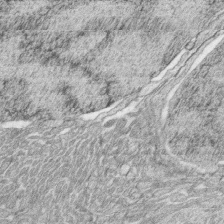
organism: Zebrafish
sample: synaptic ribbons in rod cells and cone cells